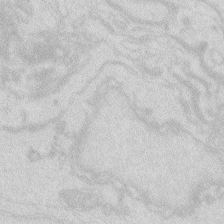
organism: Zebrafish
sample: Macrophage